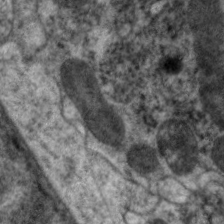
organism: C. elegans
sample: Pharynx